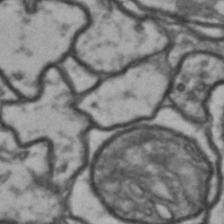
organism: Drosophila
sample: Brain